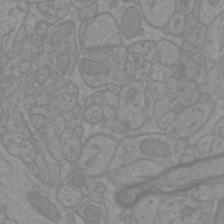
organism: Mouse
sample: Cortical neurons